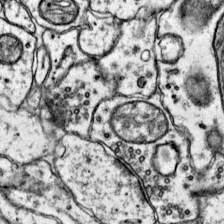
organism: Mouse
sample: Primary visual cortex